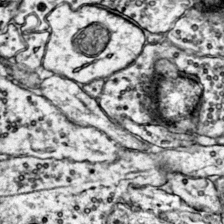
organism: Mouse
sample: Primary visual cortex